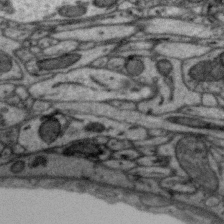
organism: Zebra finch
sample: Brain